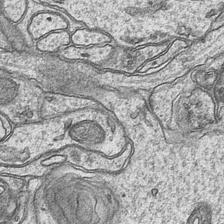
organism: Mouse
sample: CA1 Hippocampus